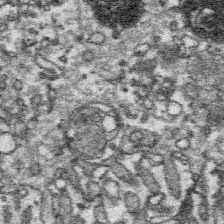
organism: Platynereis dumerilii